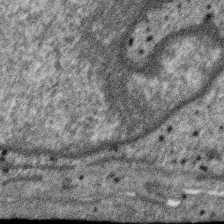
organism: Human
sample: Lung epithelial cells infected with SARS-CoV-2